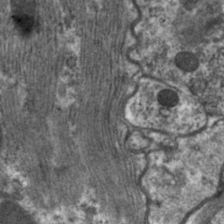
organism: C. elegans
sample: Pharynx